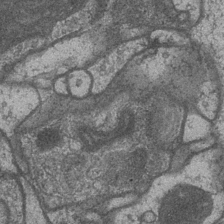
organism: Drosophila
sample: Optic medulla